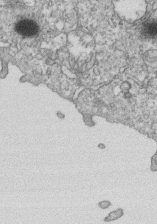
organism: Human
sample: HeLa cell HIV synapse